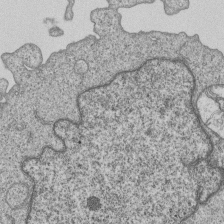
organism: Human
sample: MDA-MB-231 cells